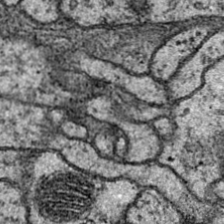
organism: Drosophila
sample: Ventral Nerve Cord